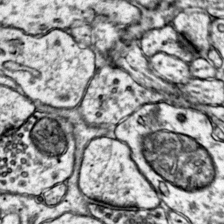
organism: Mouse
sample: Primary visual cortex